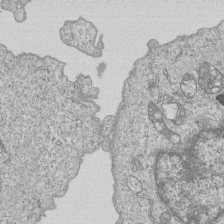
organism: Human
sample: MDA-MB-231 cells